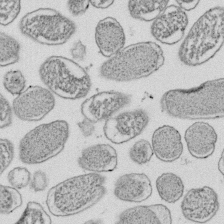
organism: E. coli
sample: Bacterial nucleoid